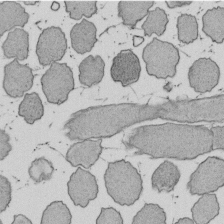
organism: E. coli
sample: Bacterial nucleoid